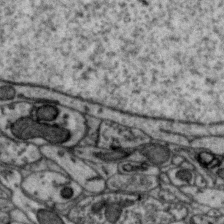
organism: Zebra finch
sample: Brain